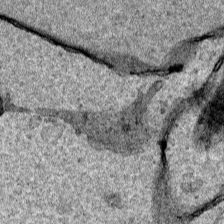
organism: Human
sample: Mitochondria in HCT116 cells